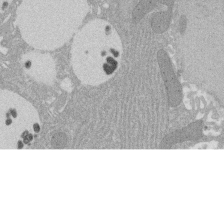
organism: Rat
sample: Salivary granule